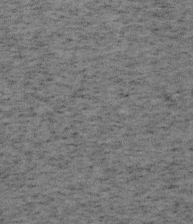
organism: Mouse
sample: OT-I killer T cells with ID8 ovarian cancer cells